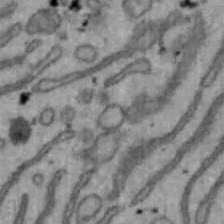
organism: Mouse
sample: Liver